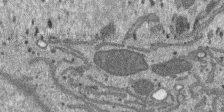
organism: Human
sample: Lung epithelial cells infected with SARS-CoV-2